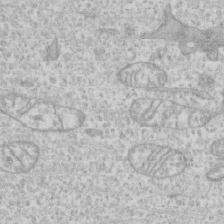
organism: Human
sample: CRL-1474